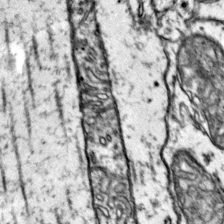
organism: Mouse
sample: Primary visual cortex